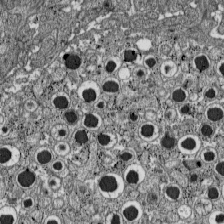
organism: C57BL Mouse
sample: Pancreatic islet